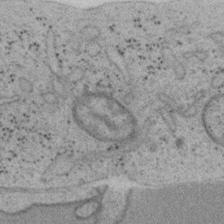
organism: Human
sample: HeLa cells